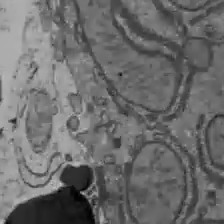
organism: C57BL Mouse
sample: Liver